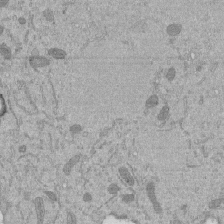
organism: Mouse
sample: ED-1 cell nuclei; centrioles